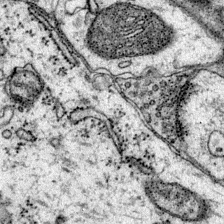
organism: Mouse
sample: Primary visual cortex